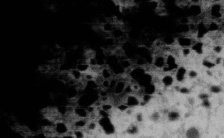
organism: Human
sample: U2-OS cells